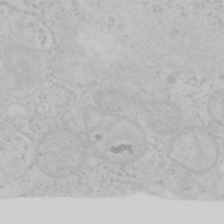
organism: Mouse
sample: OT-I killer T cells with ID8 ovarian cancer cells